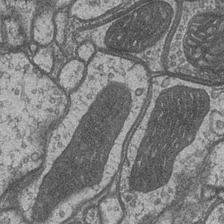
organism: Drosophila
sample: Optic medulla